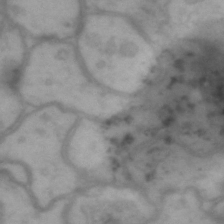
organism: Drosophila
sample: Brain